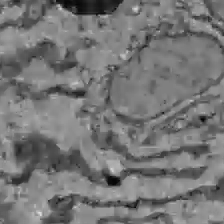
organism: C57BL Mouse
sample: Liver